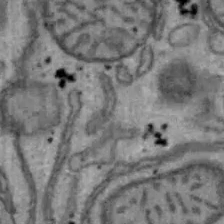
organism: Mouse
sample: Liver